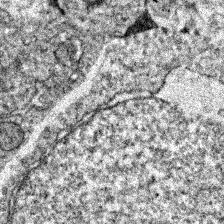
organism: Zebrafish